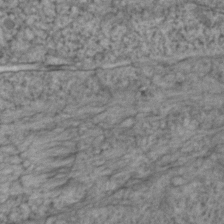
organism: Zebrafish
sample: Zebrafish embryo